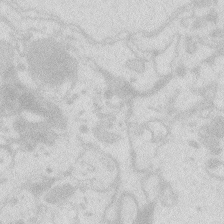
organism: Zebrafish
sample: Macrophage